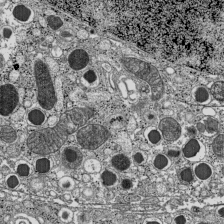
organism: C57BL Mouse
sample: Pancreatic islet